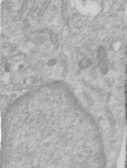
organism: Human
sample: Centriole in RPE cells